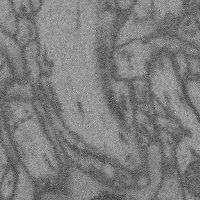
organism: Mouse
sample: Cerebral cortex